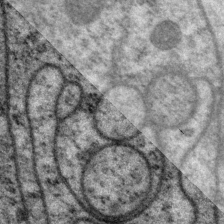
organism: P. pacificus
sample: Pharynx